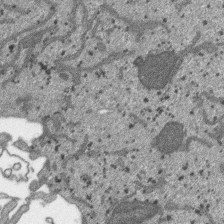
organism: Human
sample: Lung epithelial cells infected with SARS-CoV-2